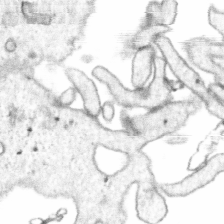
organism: Human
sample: HeLa cells